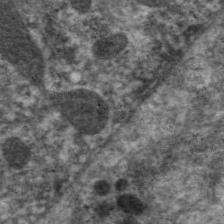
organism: C. elegans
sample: Pharynx